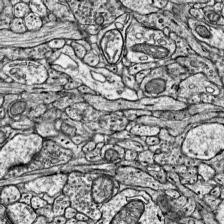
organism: Mouse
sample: Visual Cortex